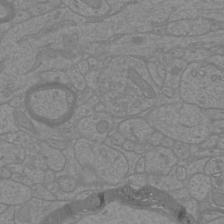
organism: Mouse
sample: Cortical neurons